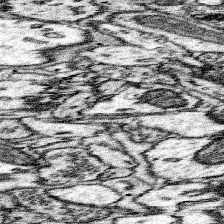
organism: Mouse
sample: Somatosensory cortex neuropil